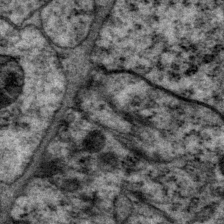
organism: P. pacificus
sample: Pharynx